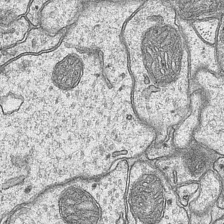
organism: Mouse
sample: CA1 Hippocampus